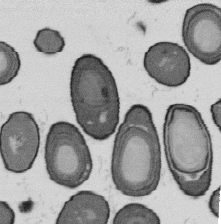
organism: B. subtilis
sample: Bacterial spore